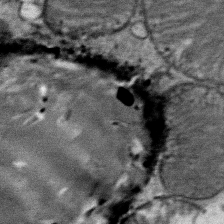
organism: Mouse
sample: Mouse Salivary gland